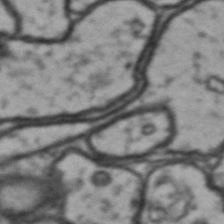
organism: Drosophila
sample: Brain